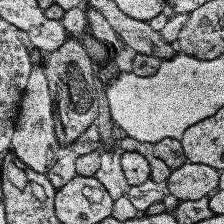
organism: Human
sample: Temporal Lobe